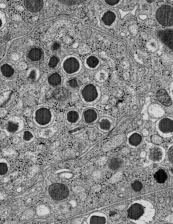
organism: C57BL Mouse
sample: Pancreatic islet